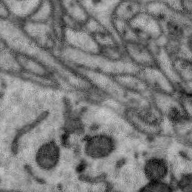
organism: Zebra finch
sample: Brain